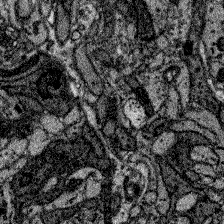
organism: Zebrafish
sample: Larval olfactory bulb